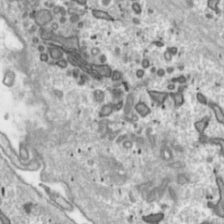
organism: Toxoplasma gondii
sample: Parasites in a vacuole inside a host cell